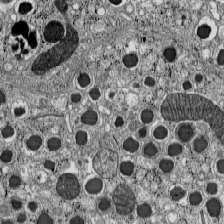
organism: C57BL Mouse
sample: Pancreatic islet